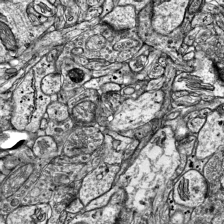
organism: Mouse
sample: Visual Cortex